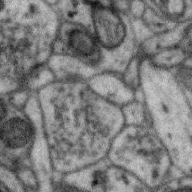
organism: Zebra finch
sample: Brain